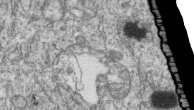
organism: Human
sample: HeLa cell HIV synapse